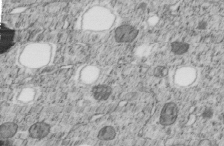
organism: C. elegans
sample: C. elegans embryo early stage